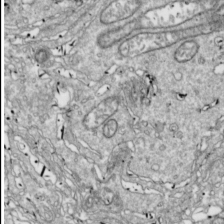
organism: Drosophila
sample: Cell division; meiosis; drosophila spermatocytes